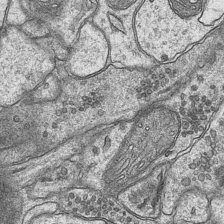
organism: Mouse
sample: CA1 Hippocampus